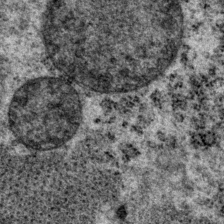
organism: P. pacificus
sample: Pharynx